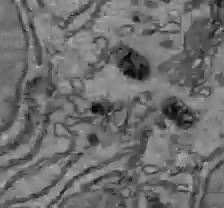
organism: C57BL Mouse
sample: Liver